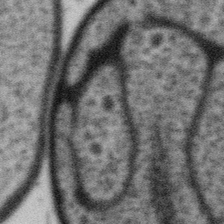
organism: Gemmata obscuriglobus